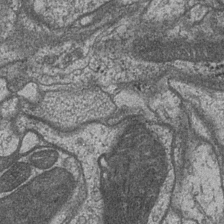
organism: Drosophila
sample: Optic medulla